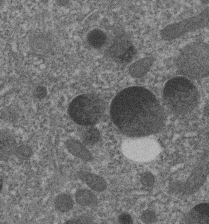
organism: C. elegans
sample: C. elegans embryo early stage